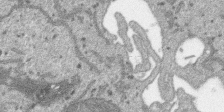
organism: Human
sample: Lung epithelial cells infected with SARS-CoV-2